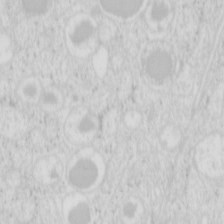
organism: Mouse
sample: Pancreas